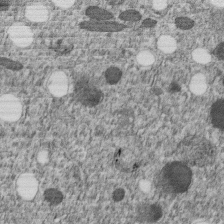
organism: C. elegans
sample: C. elegans embryo early stage